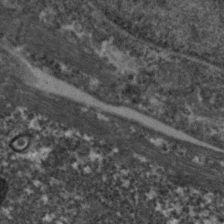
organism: Zebrafish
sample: Zebrafish embryo